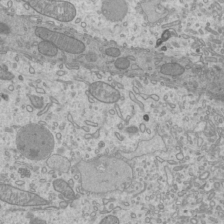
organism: Mouse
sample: Cilia; mouse epididymis